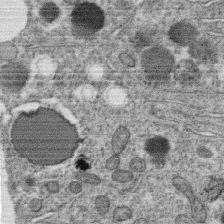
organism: C. elegans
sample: C. elegans oocyte; sperm cells